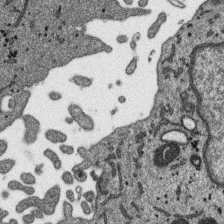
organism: Human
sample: Lung epithelial cells infected with SARS-CoV-2